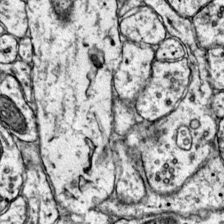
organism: Mouse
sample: Primary visual cortex